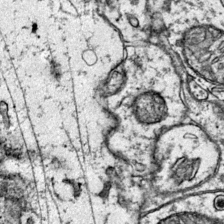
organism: Mouse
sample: Primary visual cortex